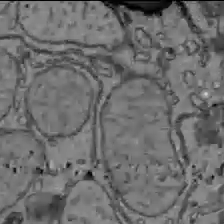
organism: C57BL Mouse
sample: Liver